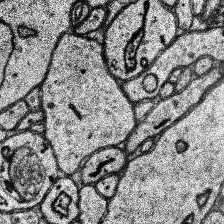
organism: Human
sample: Temporal Lobe